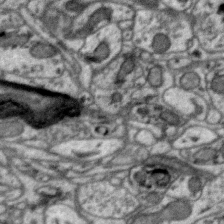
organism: Zebra finch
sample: Brain